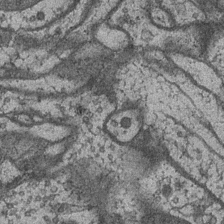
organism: Drosophila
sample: Optic medulla